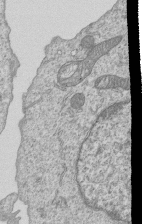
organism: Human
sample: MDA-MB-231 cells